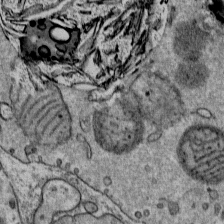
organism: Mouse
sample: Mouse Salivary gland